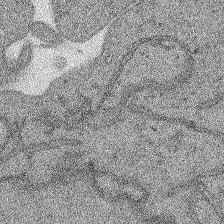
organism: Human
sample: HeLa cells